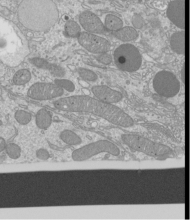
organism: Mouse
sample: Cilia; mouse epididymis